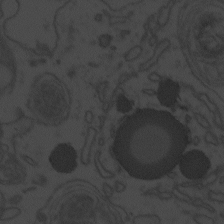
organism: Zebrafish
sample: Macrophage infected with Toxoplasma gondii